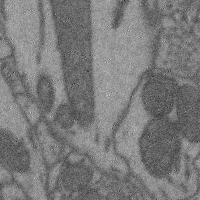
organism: Mouse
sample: Cerebral cortex